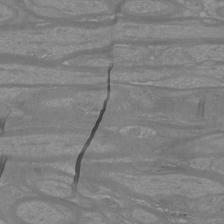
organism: Mouse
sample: Cortical neurons